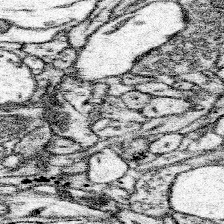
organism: Mouse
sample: Somatosensory cortex neuropil